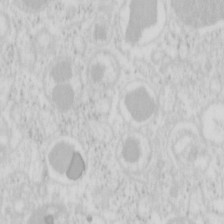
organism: Mouse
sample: Pancreas